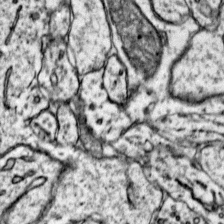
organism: Mouse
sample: Primary visual cortex